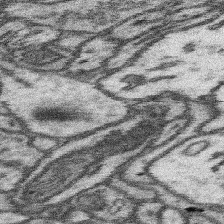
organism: Mouse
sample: Somatosensory cortex neuropil